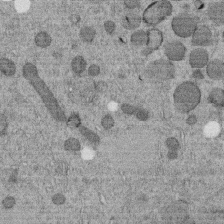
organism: C. elegans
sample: C. elegans embryo early stage